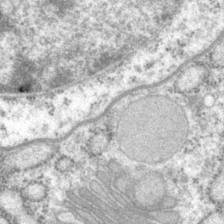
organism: P. pacificus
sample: Pharynx